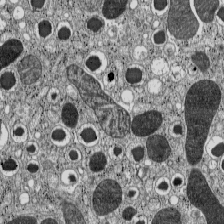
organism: C57BL Mouse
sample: Pancreatic islet